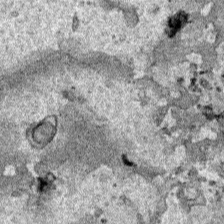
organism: Human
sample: Mitochondria in HCT116 cells